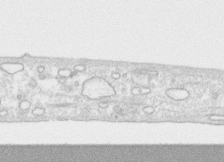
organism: Human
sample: CRL-1474